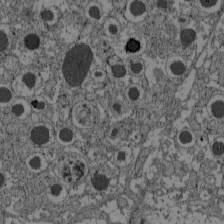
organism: C57BL Mouse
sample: Pancreatic islet